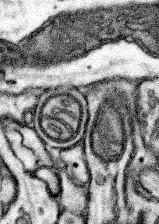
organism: Mouse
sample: Somatosensory cortex neuropil